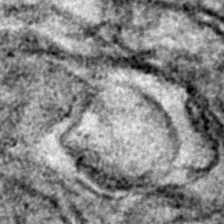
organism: Zebrafish